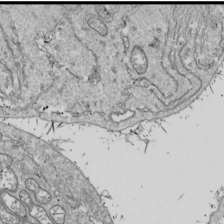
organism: Drosophila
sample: Cell division; meiosis; drosophila spermatocytes